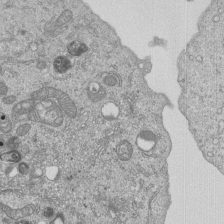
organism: Human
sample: MDA-MB-231 cells